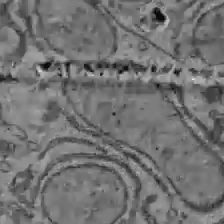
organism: C57BL Mouse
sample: Liver